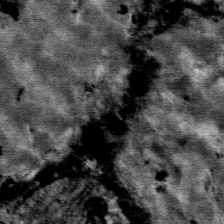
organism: Mouse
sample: Mouse Salivary gland